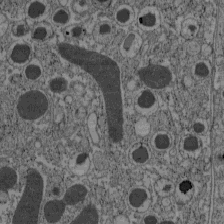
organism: C57BL Mouse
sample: Pancreatic islet